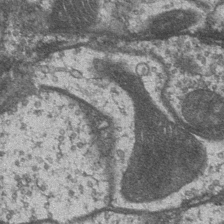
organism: Drosophila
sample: Optic medulla